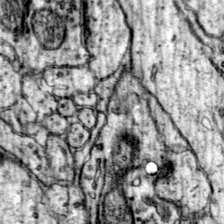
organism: Mouse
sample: Primary visual cortex